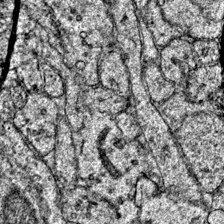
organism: Mouse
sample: Primary visual cortex